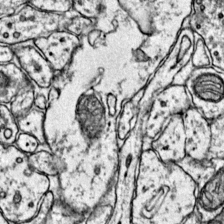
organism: Mouse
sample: Primary visual cortex